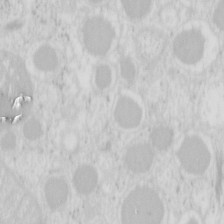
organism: Mouse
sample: Pancreas